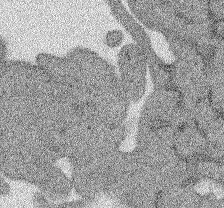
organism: Human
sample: HeLa cells